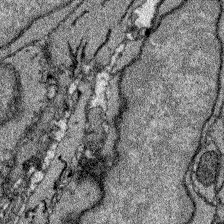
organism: Zebrafish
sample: Larval olfactory bulb